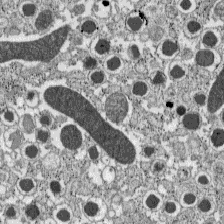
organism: C57BL Mouse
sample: Pancreatic islet